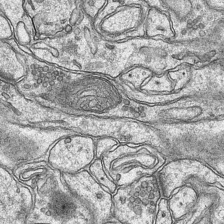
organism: Mouse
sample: CA1 Hippocampus